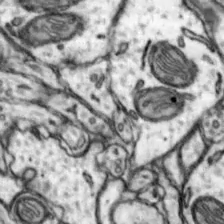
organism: Mouse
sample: Nucleus accumbens